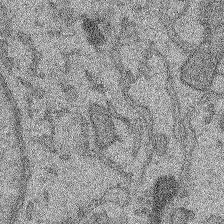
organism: Human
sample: HeLa cells